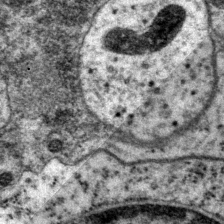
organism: P. pacificus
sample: Pharynx